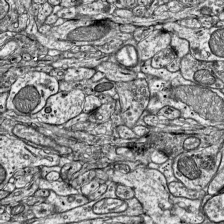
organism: Mouse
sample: Visual Cortex